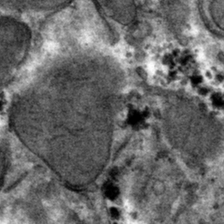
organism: Mouse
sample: Mouse hepatocytes